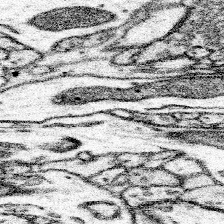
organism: Mouse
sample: Somatosensory cortex neuropil